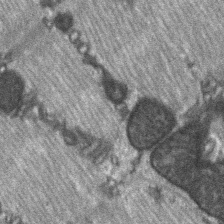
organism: C57BL Mouse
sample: Soleus